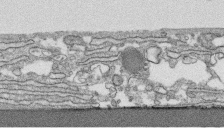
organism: Human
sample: CRL-1474